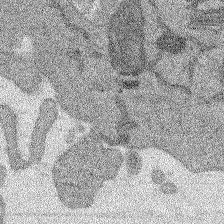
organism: Human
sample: HeLa cells